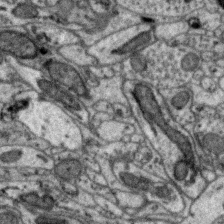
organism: Zebra finch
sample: Brain